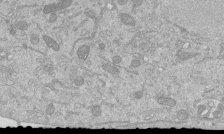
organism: Mouse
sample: ED-1 cell nuclei; centrioles